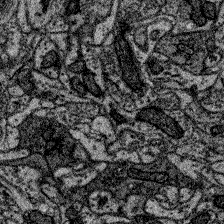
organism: Zebrafish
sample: Larval olfactory bulb